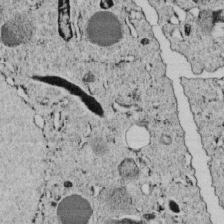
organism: C. elegans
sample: C. elegans embryo early stage